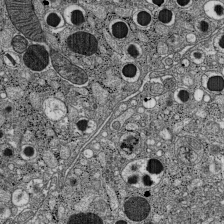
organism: C57BL Mouse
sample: Pancreatic islet